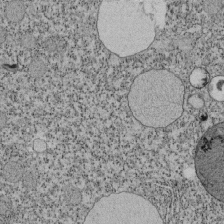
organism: Tetrahymena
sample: Cilia in tetrahymena